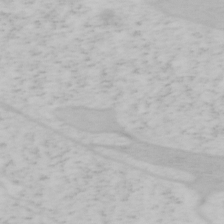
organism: Mouse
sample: OT-I killer T cells with ID8 ovarian cancer cells